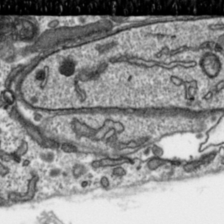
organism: Toxoplasma gondii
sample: Parasites in a vacuole inside a host cell